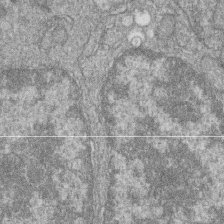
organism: Zebrafish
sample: Cilia; retinal pigment epithelium